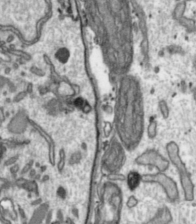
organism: Toxoplasma gondii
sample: Parasites in a vacuole inside a host cell